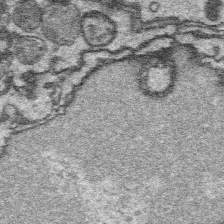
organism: Platynereis dumerilii